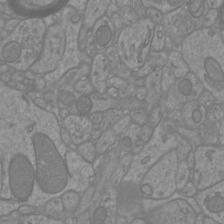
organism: Mouse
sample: Cortical neurons